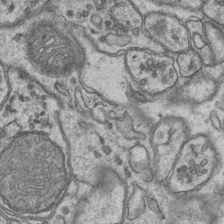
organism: Mouse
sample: CA1 Hippocampus